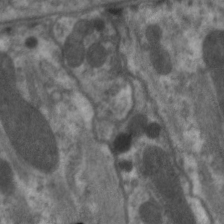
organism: C. elegans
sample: Pharynx